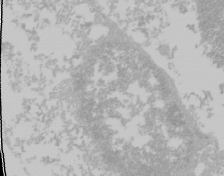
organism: Mouse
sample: Cancer cell death in ED-1 cells